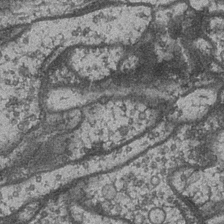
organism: Drosophila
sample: Optic medulla